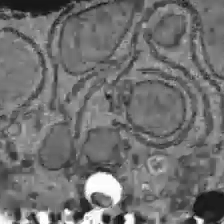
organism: C57BL Mouse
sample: Liver